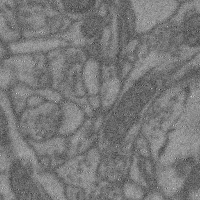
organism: Mouse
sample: Cerebral cortex